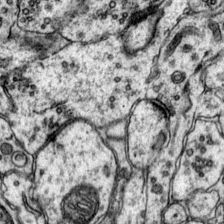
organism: Mouse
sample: Primary visual cortex